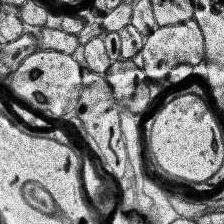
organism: Human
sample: Temporal Lobe